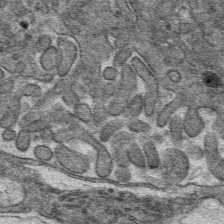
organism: Mouse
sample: Mouse hepatocytes